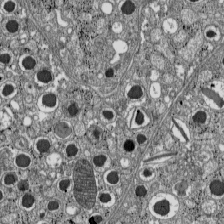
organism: C57BL Mouse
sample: Pancreatic islet